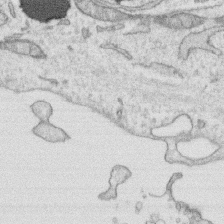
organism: Human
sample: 1205lu cells